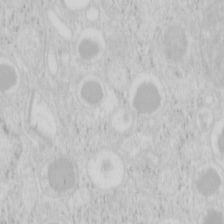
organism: Mouse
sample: Pancreas